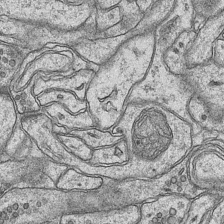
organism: Mouse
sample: CA1 Hippocampus